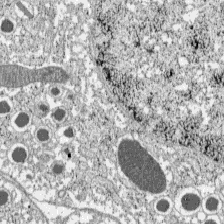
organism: C57BL Mouse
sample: Pancreatic islet